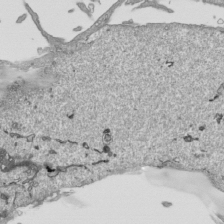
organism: Human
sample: Mitochondria in HCT116 cells